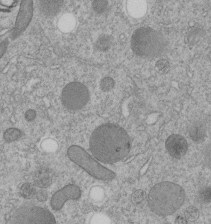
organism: C. elegans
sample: C. elegans embryo early stage